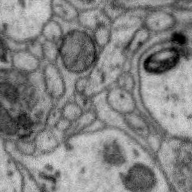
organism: Zebra finch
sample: Brain